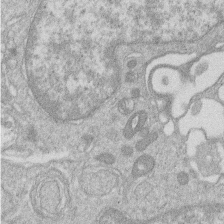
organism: Human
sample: Macrophage cells